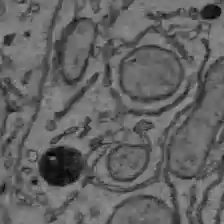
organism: C57BL Mouse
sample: Liver